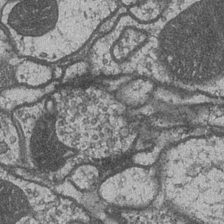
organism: Drosophila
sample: Optic medulla